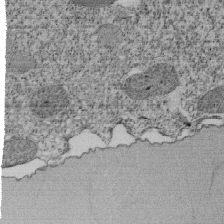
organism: Tetrahymena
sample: Cilia in tetrahymena